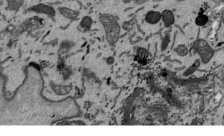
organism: Mouse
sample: ED-1 cell nuclei; centrioles